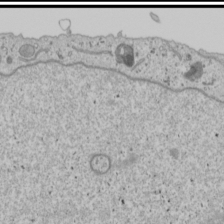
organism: Human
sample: Mitochondria in U2OS cells